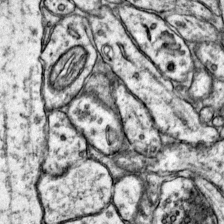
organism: Mouse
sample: Primary visual cortex